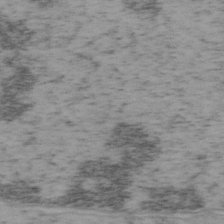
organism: Mouse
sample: OT-I killer T cells with ID8 ovarian cancer cells